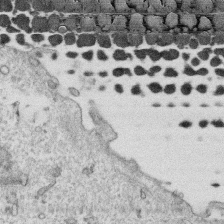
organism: Human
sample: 1205lu cells